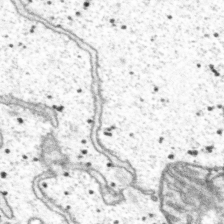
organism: Human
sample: HeLa cells